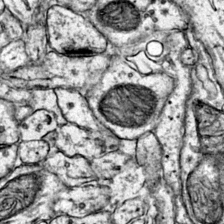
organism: Mouse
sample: Primary visual cortex